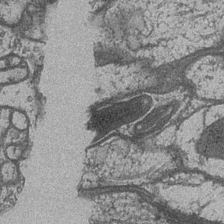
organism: Drosophila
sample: Optic medulla